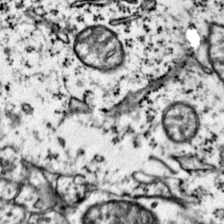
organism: Mouse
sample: Primary visual cortex